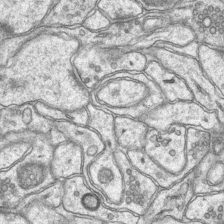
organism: Mouse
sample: CA1 Hippocampus